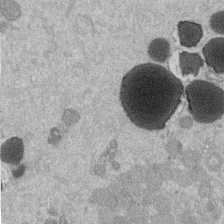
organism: Mouse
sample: Dividing mouse embryo 1 cell stage